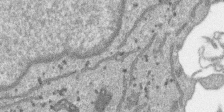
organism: Human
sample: Lung epithelial cells infected with SARS-CoV-2